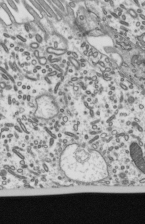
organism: Mouse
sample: Mouse epididymis efferent ductule cilia